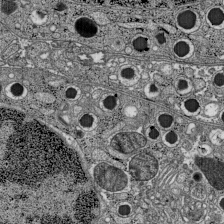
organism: C57BL Mouse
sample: Pancreatic islet